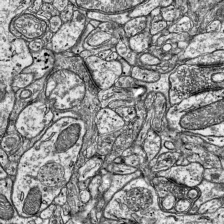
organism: Mouse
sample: Visual Cortex